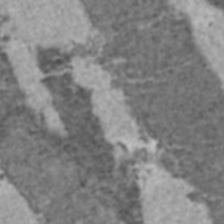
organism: C57BL Mouse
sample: Heart